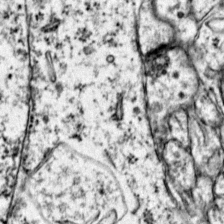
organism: Mouse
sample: Primary visual cortex